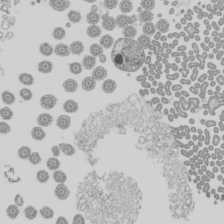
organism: Mouse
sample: Cilia; mouse epididymis